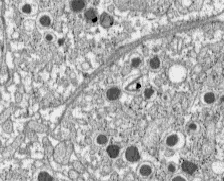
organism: C57BL Mouse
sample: Pancreatic islet